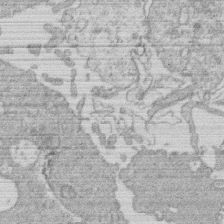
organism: Human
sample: Macrophage cells